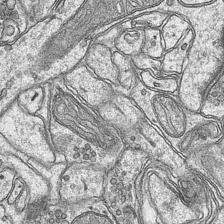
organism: Mouse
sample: CA1 Hippocampus